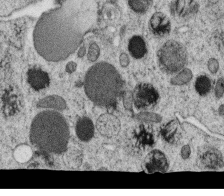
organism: C. elegans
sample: C. elegans oocyte; sperm cells